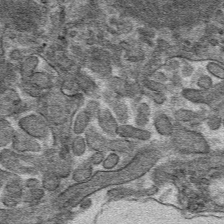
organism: Mouse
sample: Mouse hepatocytes